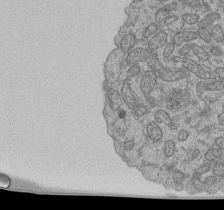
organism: Human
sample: Retinal organoid Rod and Cone cells